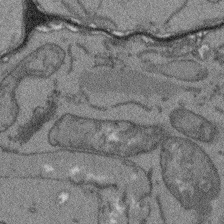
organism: Arabidopsis thaliana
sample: Root tip